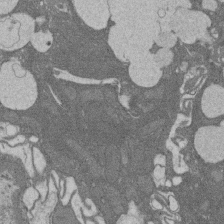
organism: Rat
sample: Salivary granule